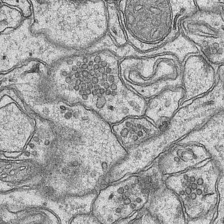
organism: Mouse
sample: CA1 Hippocampus